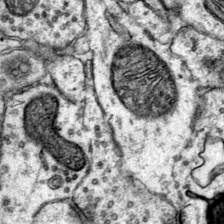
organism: Mouse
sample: Primary visual cortex